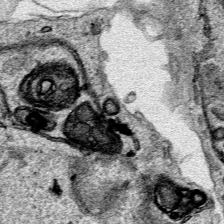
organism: Human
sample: Mitochondria in HCT116 cells